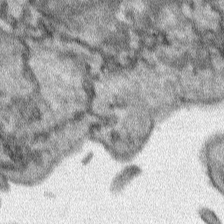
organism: Human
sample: Mitochondria in HCT116 cells